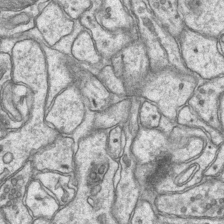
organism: Mouse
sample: CA1 Hippocampus